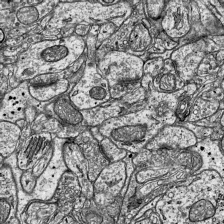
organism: Mouse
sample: Visual Cortex